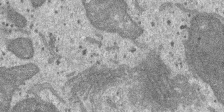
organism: Human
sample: Lung epithelial cells infected with SARS-CoV-2